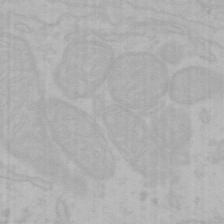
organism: Mouse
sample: Choroid plexus